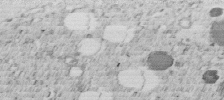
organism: C. elegans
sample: C. elegans embryo early stage